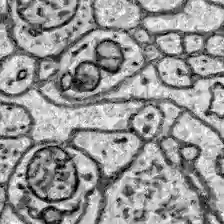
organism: Zebrafish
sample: Brain